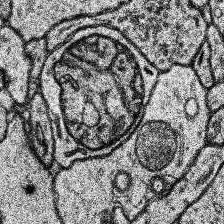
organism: Human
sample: Temporal Lobe